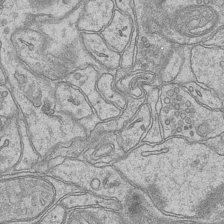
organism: Mouse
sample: CA1 Hippocampus